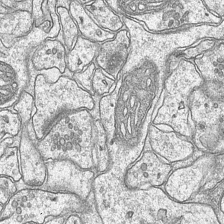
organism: Mouse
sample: CA1 Hippocampus